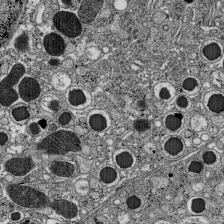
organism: C57BL Mouse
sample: Pancreatic islet